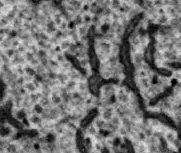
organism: Human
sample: HeLa cells